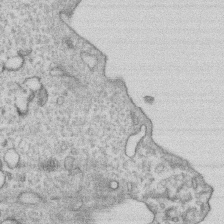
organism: Human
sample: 1205lu cells